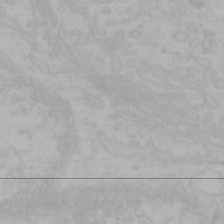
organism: Mouse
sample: Choroid plexus